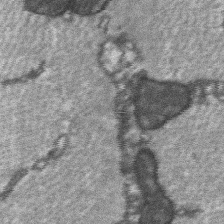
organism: C57BL Mouse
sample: Soleus